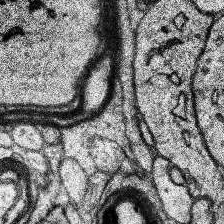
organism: Human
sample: Temporal Lobe